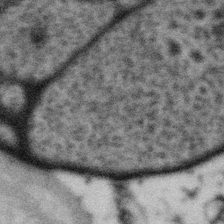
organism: Gemmata obscuriglobus